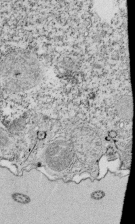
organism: Tetrahymena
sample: Cilia in tetrahymena